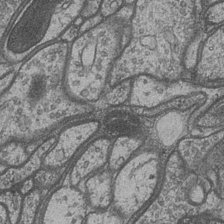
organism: Drosophila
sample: Optic medulla